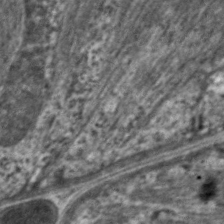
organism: C. elegans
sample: Pharynx